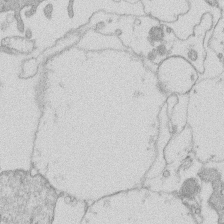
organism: Human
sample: Macrophage cells